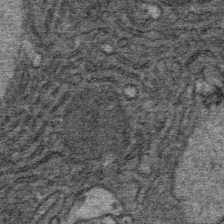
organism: Mouse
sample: Mouse Salivary gland